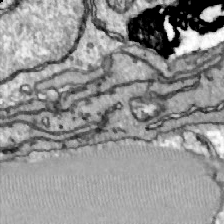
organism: Zebrafish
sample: Actinotrichia fibers